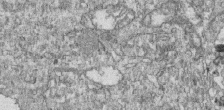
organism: Human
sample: HeLa cell HIV synapse